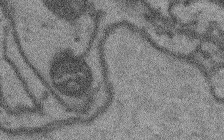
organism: Arabidopsis thaliana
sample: Root tip